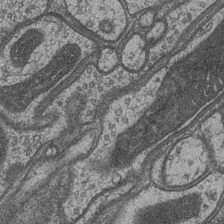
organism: Drosophila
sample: Optic medulla